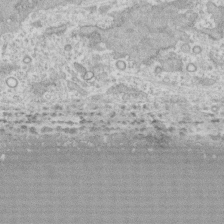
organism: Human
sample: CRL-1474